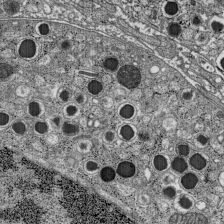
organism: C57BL Mouse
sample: Pancreatic islet